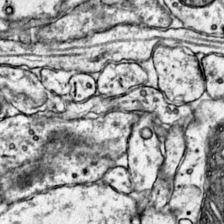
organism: Mouse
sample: Primary visual cortex